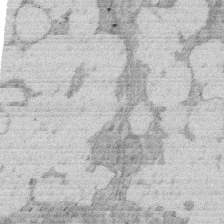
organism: Rat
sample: Salivary granule